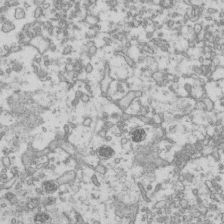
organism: Human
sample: Activated Jurkat CD4+ T cells